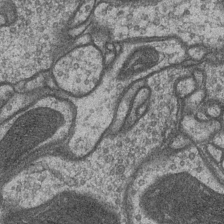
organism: Drosophila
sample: Optic medulla